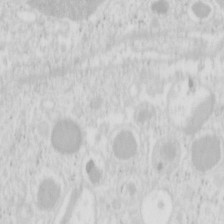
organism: Mouse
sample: Pancreas